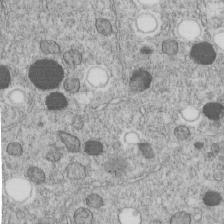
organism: C. elegans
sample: C. elegans embryo early stage